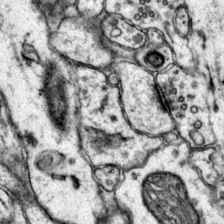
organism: Mouse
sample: Primary visual cortex